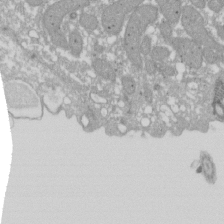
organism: Xenopus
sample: Cilia; centrioles in frog embryo cells